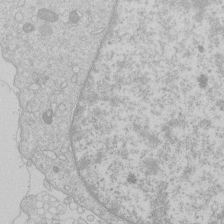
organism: Human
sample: Macrophage cells